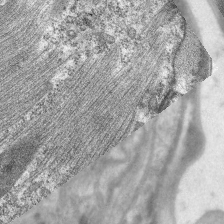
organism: C. elegans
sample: Pharynx